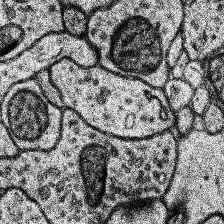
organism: Human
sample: Temporal Lobe